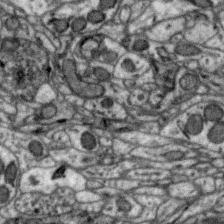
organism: Zebra finch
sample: Brain